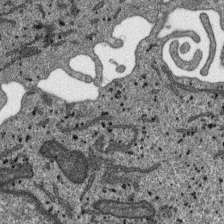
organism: Human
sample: Lung epithelial cells infected with SARS-CoV-2